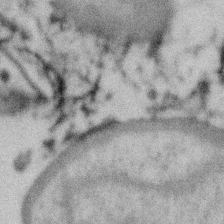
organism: Gemmata obscuriglobus